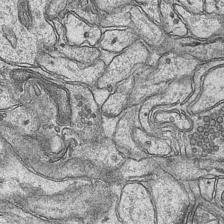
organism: Mouse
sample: CA1 Hippocampus